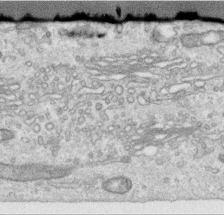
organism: Human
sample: Centriole in RPE cells